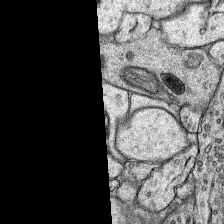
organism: Rat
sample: Hippocampus